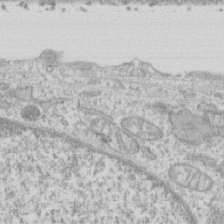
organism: Human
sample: CRL-1474